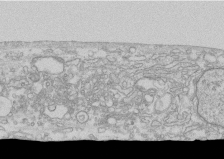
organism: Human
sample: CRL-1474